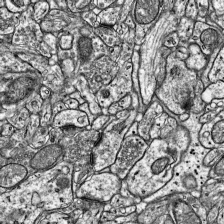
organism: Mouse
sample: Visual Cortex